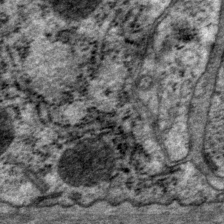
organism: P. pacificus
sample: Pharynx